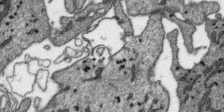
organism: Human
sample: Lung epithelial cells, uninfected (mock) control